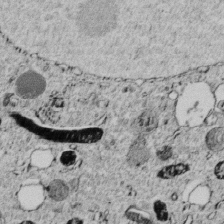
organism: C. elegans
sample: C. elegans embryo early stage